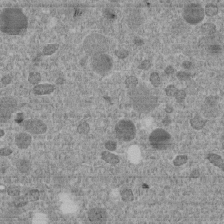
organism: C. elegans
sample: C. elegans embryo early stage